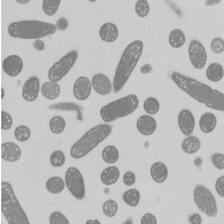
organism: E. coli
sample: Bacterial nucleoid